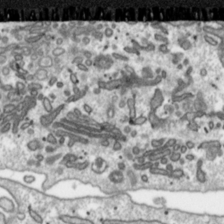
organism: Toxoplasma gondii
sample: Parasites in a vacuole inside a host cell